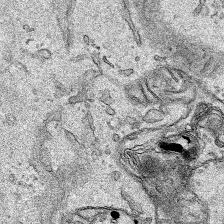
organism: Human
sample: Mitochondria in HCT116 cells